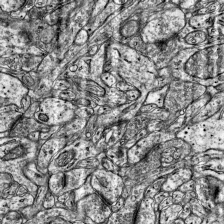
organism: Mouse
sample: Visual Cortex